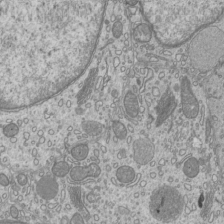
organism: Mouse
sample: Cilia; mouse epididymis